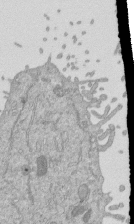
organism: Mouse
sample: ED-1 cell nuclei; centrioles